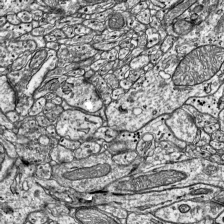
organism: Mouse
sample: Visual Cortex